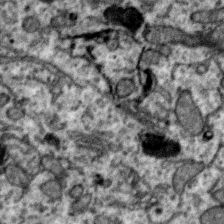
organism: Zebra finch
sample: Brain